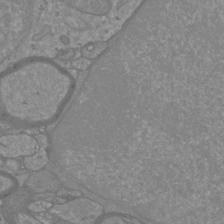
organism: Mouse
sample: Cortical neurons